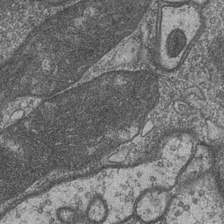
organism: Drosophila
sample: Optic medulla